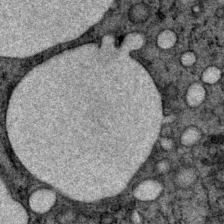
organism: P. pacificus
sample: Pharynx